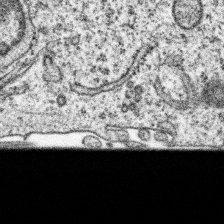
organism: Human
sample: HeLa cells